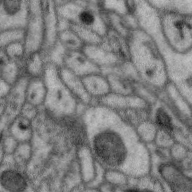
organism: Zebra finch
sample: Brain